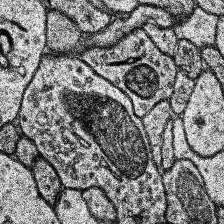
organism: Human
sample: Temporal Lobe